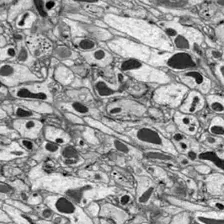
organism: Drosophila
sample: Optic lobe